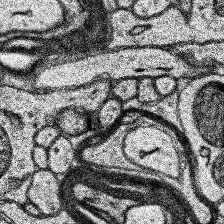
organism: Human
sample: Temporal Lobe